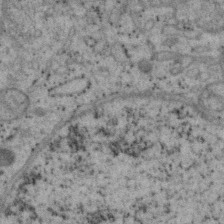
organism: Human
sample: HeLa cells